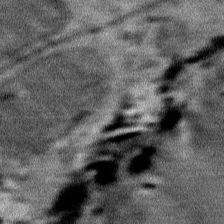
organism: Mouse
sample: Mouse Salivary gland